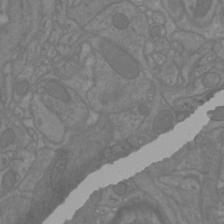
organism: Mouse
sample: Cortical neurons